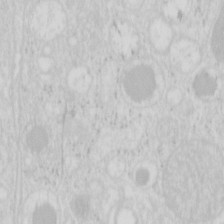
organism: Mouse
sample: Pancreas